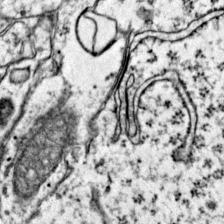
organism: Mouse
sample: Primary visual cortex